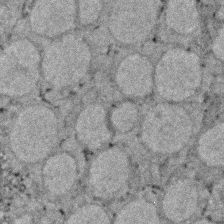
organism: Zebrafish